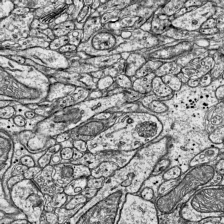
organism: Mouse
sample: Visual Cortex